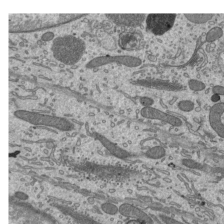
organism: Mouse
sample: Mouse epididymis efferent ductule cilia